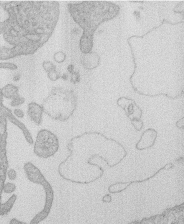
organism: Human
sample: Macrophage cells